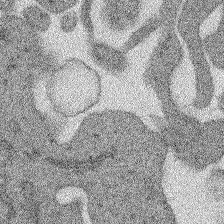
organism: Human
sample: HeLa cells